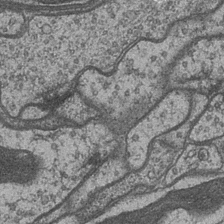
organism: Drosophila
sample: Optic medulla